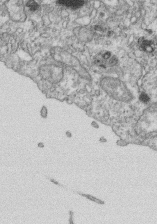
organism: Human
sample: HeLa cell HIV synapse